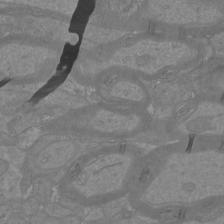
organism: Mouse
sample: Cortical neurons